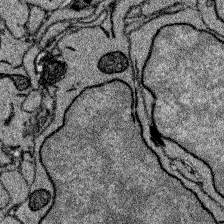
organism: Zebrafish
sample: Larval olfactory bulb